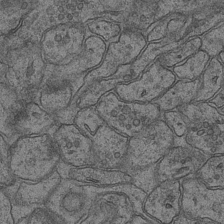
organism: Mouse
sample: CA1 Hippocampus